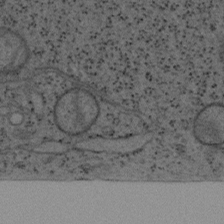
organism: Human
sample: HeLa cells